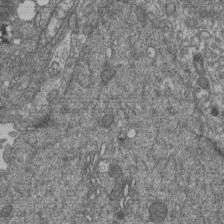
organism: Human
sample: Retinal organoid Rod and Cone cells